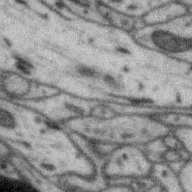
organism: Zebra finch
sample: Brain